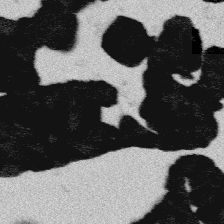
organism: Platynereis dumerilii